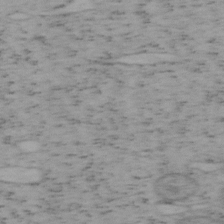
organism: Mouse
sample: OT-I killer T cells with ID8 ovarian cancer cells